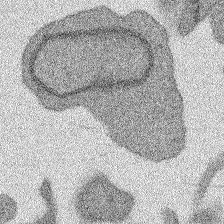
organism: Human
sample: HeLa cells